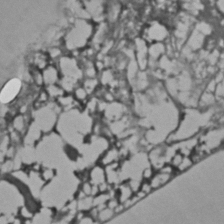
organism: C. elegans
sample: C. elegans embryo